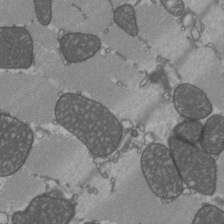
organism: C57BL Mouse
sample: Heart